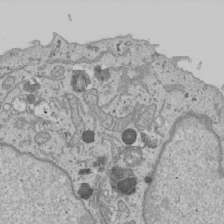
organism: Human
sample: Mitochondria in U2OS cells